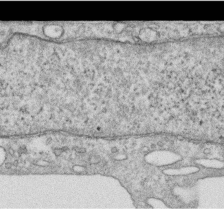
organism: Human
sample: Centriole in RPE cells